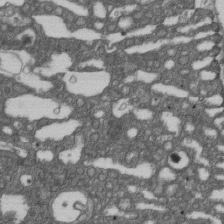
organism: Drosophila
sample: Nephrocyte